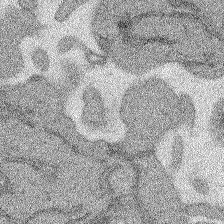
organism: Human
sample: HeLa cells